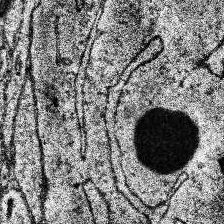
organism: Human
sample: Temporal Lobe